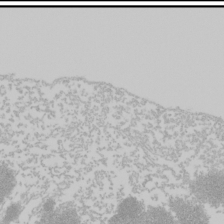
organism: Mouse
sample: Cancer cell death in ED-1 cells